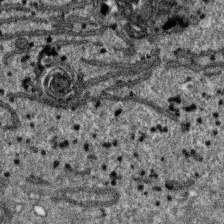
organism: Human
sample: Lung epithelial cells infected with SARS-CoV-2